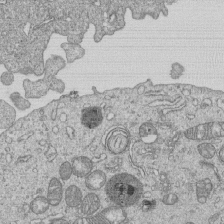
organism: Human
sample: MDA-MB-231 cells